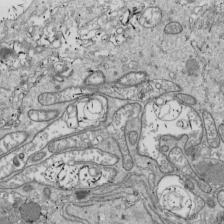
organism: Drosophila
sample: Cell division; meiosis; drosophila spermatocytes